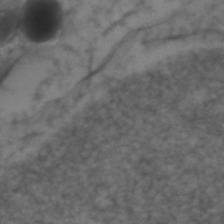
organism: Zebrafish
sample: Zebrafish embryo